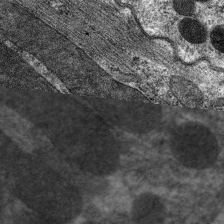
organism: C. elegans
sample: Pharynx